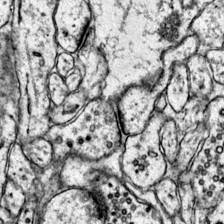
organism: Mouse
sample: Primary visual cortex